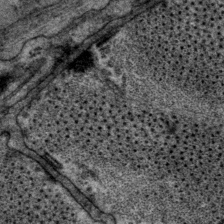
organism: P. pacificus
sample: Pharynx